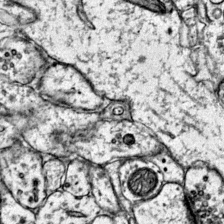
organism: Mouse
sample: Primary visual cortex